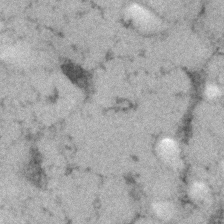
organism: Human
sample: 1205lu cells